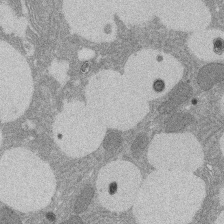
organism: Rat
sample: Salivary granule